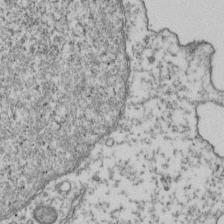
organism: Human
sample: Activated Jurkat CD4+ T cells